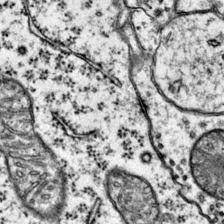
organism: Mouse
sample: Primary visual cortex